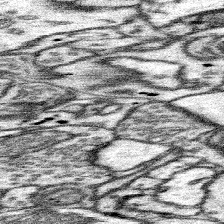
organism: Mouse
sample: Somatosensory cortex neuropil